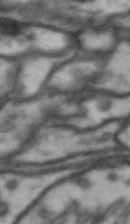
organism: Drosophila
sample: Brain